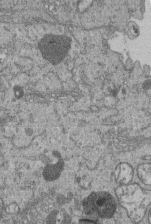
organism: Human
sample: Retinal organoid Rod and Cone cells